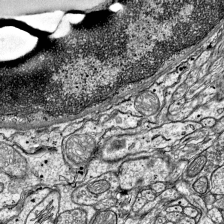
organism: Mouse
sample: Visual Cortex